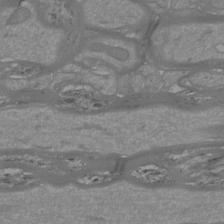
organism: Mouse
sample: Cortical neurons